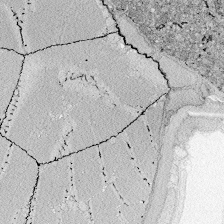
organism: Zebrafish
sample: Whole-Brain